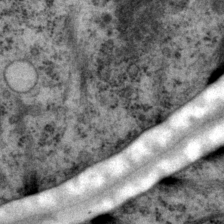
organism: P. pacificus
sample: Pharynx